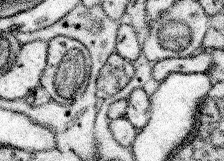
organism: Mouse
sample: Somatosensory cortex neuropil